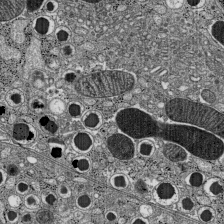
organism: C57BL Mouse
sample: Pancreatic islet